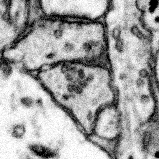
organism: Mouse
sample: Somatosensory cortex neuropil